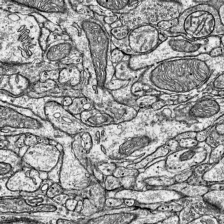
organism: Mouse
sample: Visual Cortex